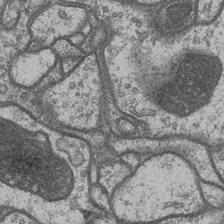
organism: Drosophila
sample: Optic medulla